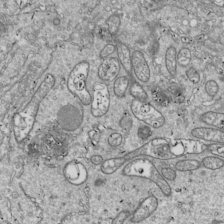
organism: Drosophila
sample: Cell division; meiosis; drosophila spermatocytes